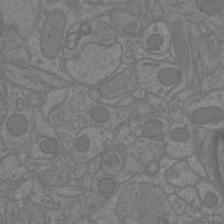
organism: Mouse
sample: Cortical neurons